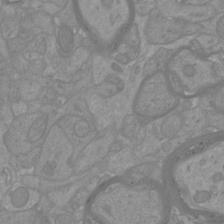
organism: Mouse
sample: Cortical neurons